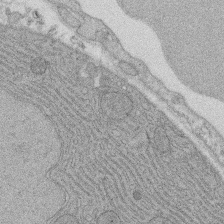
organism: Rat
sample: Salivary granule